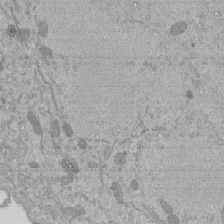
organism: Mouse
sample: ED-1 cell nuclei; centrioles